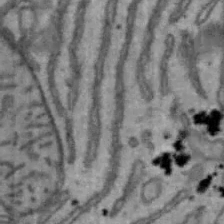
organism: Mouse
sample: Liver